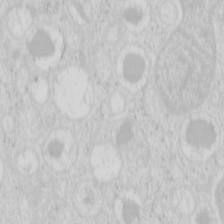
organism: Mouse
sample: Pancreas